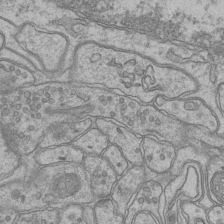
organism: Mouse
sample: CA1 Hippocampus